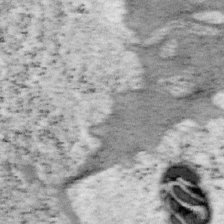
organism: Mouse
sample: OT-I killer T cells with ID8 ovarian cancer cells